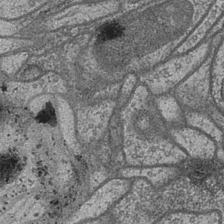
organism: Drosophila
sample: Optic medulla